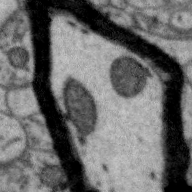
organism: Zebra finch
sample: Brain